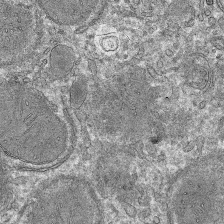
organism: Mouse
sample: Mouse hepatocytes